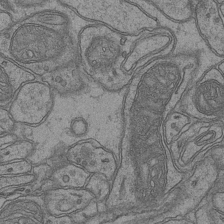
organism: Mouse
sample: CA1 Hippocampus